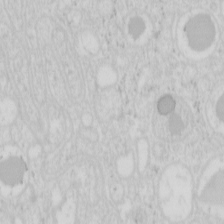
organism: Mouse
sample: Pancreas